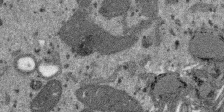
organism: Human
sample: Lung epithelial cells infected with SARS-CoV-2